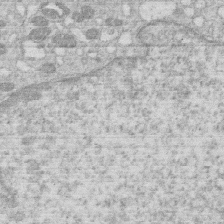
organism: Human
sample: Macrophage cells